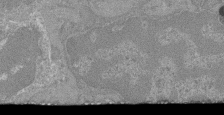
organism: Mouse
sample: Glomerulus